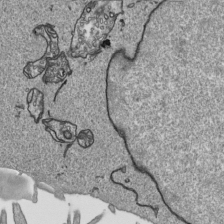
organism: Human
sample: Mitochondria in HCT116 cells